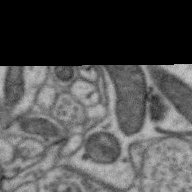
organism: Zebra finch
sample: Brain